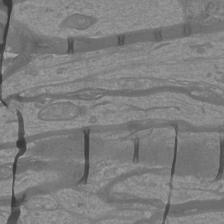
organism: Mouse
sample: Cortical neurons